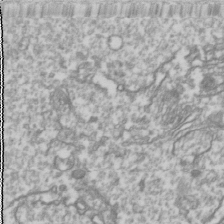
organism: Drosophila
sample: Cell division; meiosis; drosophila spermatocytes